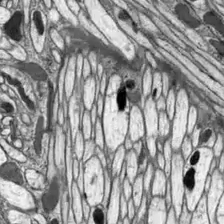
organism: Drosophila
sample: Optic lobe